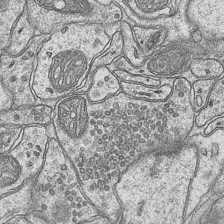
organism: Mouse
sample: CA1 Hippocampus